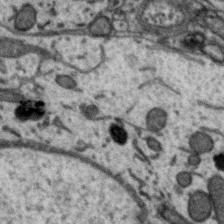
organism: Zebra finch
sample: Brain